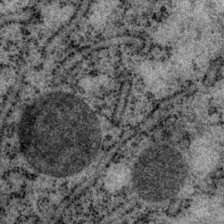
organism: P. pacificus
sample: Pharynx